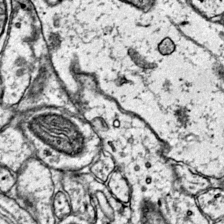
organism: Mouse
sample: Primary visual cortex